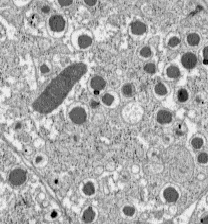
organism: C57BL Mouse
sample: Pancreatic islet